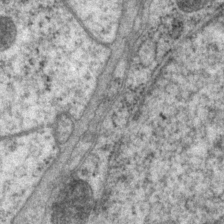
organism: P. pacificus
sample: Pharynx